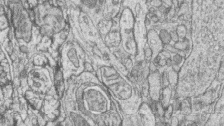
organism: Zebrafish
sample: synaptic ribbons in rod cells and cone cells